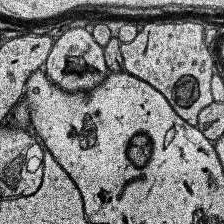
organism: Human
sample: Temporal Lobe